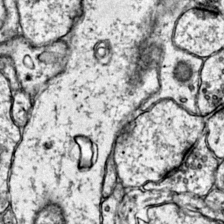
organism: Mouse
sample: Primary visual cortex